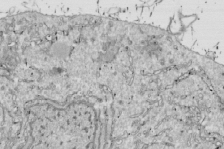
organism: Drosophila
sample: Cell division; meiosis; drosophila spermatocytes